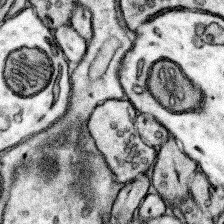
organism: Mouse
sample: Somatosensory cortex neuropil